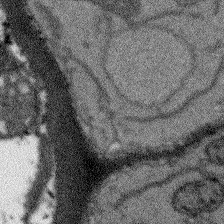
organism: Arabidopsis thaliana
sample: Root tip